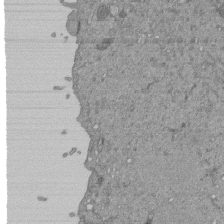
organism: Mouse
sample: ED-1 cell nuclei; centrioles